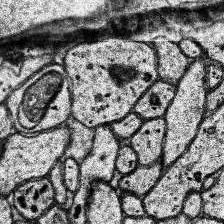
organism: Human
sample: Temporal Lobe